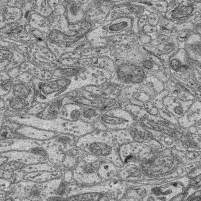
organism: Mouse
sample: Retina